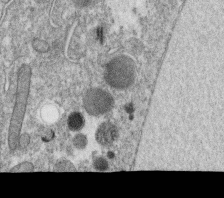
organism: C. elegans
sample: C. elegans oocyte; sperm cells